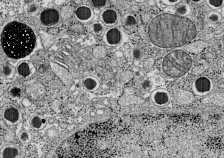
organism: C57BL Mouse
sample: Pancreatic islet